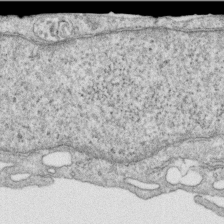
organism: Human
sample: Centriole in RPE cells